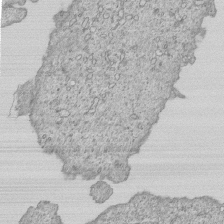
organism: Human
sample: MDA-MB-231 cells